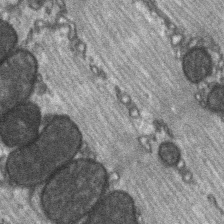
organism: C57BL Mouse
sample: Soleus